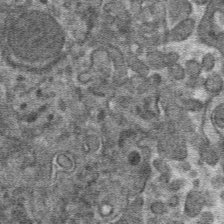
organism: Mouse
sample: Mouse hepatocytes